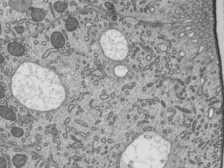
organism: Mouse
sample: Mouse epididymis efferent ductule cilia